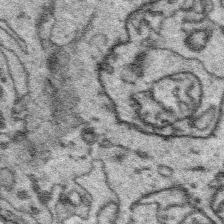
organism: Platynereis dumerilii